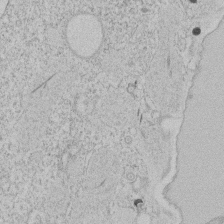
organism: Tetrahymena